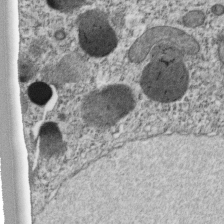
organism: C. elegans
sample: C. elegans embryo early stage